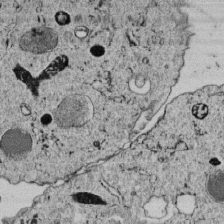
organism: C. elegans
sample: C. elegans embryo early stage